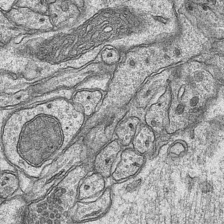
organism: Mouse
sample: CA1 Hippocampus